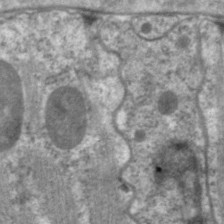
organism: C. elegans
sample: Pharynx